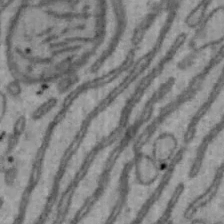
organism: Mouse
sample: Liver